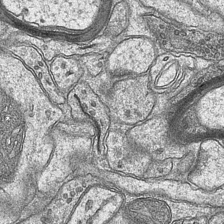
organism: Mouse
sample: CA1 Hippocampus